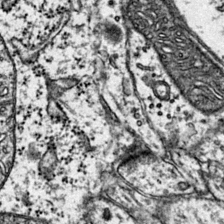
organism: Mouse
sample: Primary visual cortex